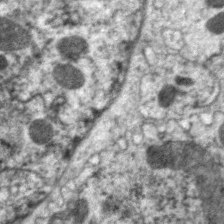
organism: C. elegans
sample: Pharynx